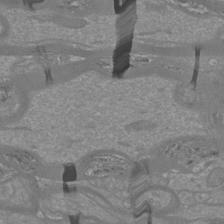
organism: Mouse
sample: Cortical neurons